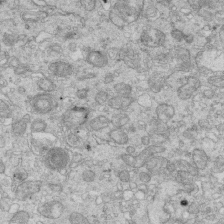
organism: Mouse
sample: Multiciliated cells